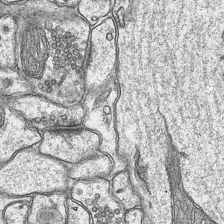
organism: Mouse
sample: CA1 Hippocampus